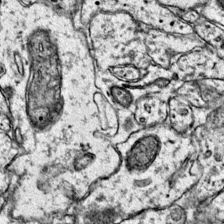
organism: Mouse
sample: Primary visual cortex